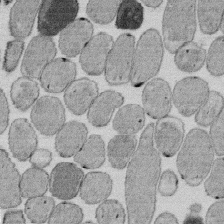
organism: E. coli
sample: Bacterial nucleoid